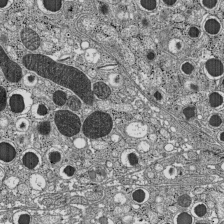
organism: C57BL Mouse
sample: Pancreatic islet